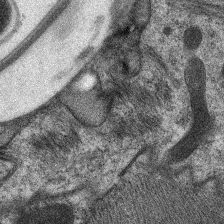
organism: C. elegans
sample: Pharynx